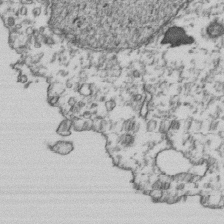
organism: Human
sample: Activated Jurkat CD4+ T cells